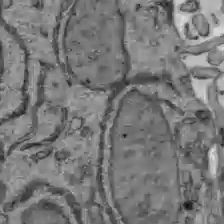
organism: C57BL Mouse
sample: Liver